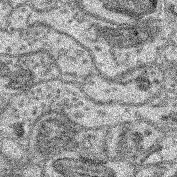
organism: Mouse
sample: Retina